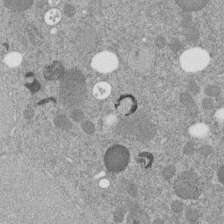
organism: C. elegans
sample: C. elegans embryo early stage